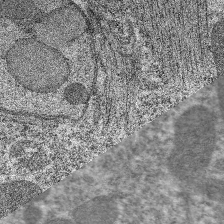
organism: C. elegans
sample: Pharynx